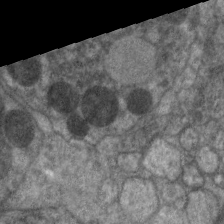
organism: C. elegans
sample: Pharynx